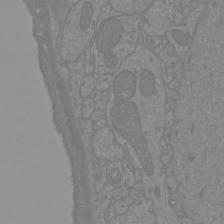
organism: Mouse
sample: Cortical neurons